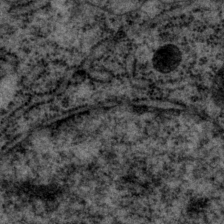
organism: P. pacificus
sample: Pharynx